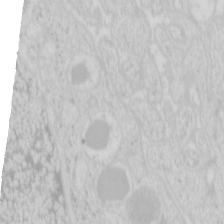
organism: Mouse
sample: Pancreas